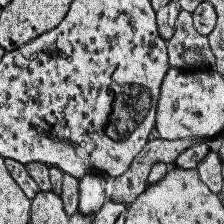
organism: Human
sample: Temporal Lobe